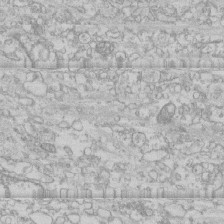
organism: Human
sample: CRL-1474